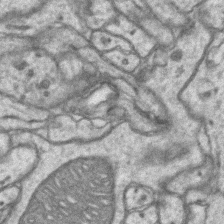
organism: Mouse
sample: CA1 Hippocampus